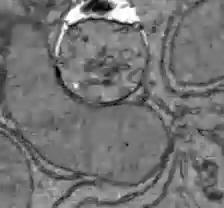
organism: C57BL Mouse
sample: Liver